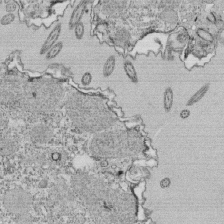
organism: Tetrahymena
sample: Cilia in tetrahymena